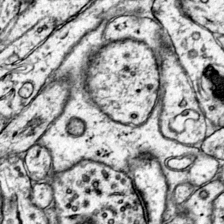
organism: Mouse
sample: Primary visual cortex